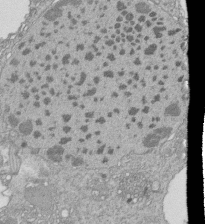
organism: Tetrahymena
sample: Cilia in tetrahymena